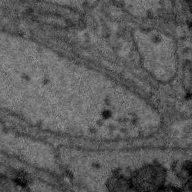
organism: Zebra finch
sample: Brain